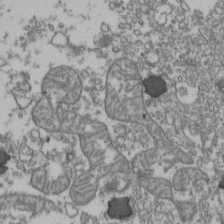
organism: Human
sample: Activated Jurkat CD4+ T cells